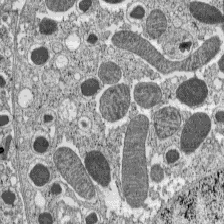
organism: C57BL Mouse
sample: Pancreatic islet